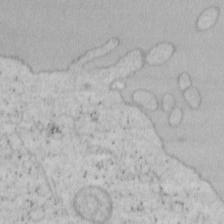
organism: Human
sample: HeLa cells